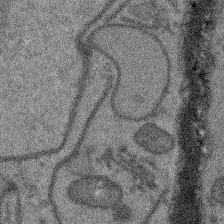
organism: Arabidopsis thaliana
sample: Root tip